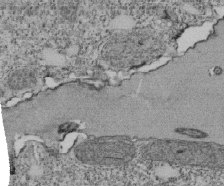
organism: Tetrahymena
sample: Cilia in tetrahymena